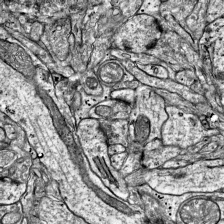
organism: Mouse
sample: Visual Cortex